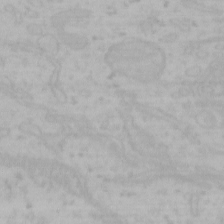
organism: Mouse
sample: Choroid plexus